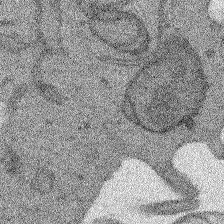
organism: Human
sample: HeLa cells